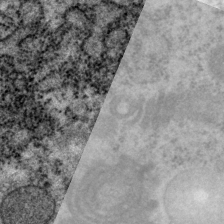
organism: P. pacificus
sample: Pharynx